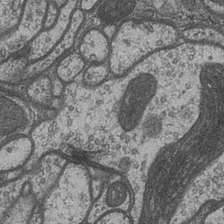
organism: Drosophila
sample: Optic medulla